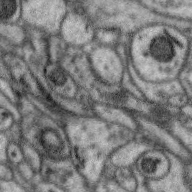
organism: Zebra finch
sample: Brain